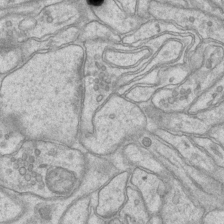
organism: Mouse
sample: CA1 Hippocampus